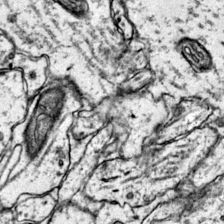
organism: Mouse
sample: Primary visual cortex